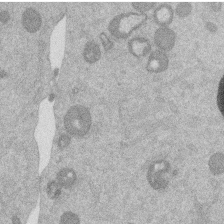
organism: Mouse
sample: Dividing mouse embryo 1 cell stage